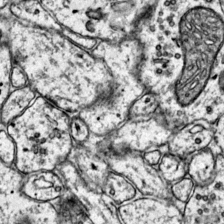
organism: Mouse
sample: Primary visual cortex